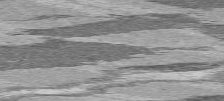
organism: C57BL Mouse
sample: Heart